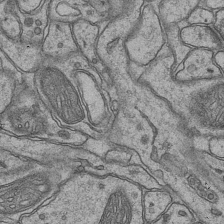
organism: Mouse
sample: CA1 Hippocampus